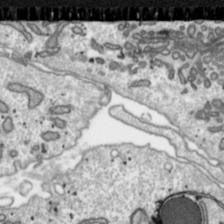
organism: Toxoplasma gondii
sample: Parasites in a vacuole inside a host cell